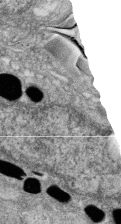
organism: Zebrafish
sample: Cilia; retinal pigment epithelium